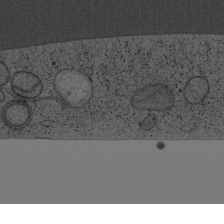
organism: African green monkey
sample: COS-7 cells